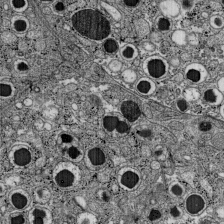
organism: C57BL Mouse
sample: Pancreatic islet